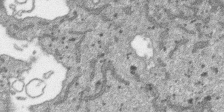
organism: Human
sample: Lung epithelial cells infected with SARS-CoV-2